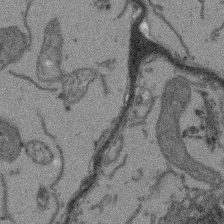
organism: Arabidopsis thaliana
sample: Root tip